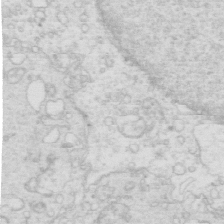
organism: Mouse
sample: Multiciliated cells